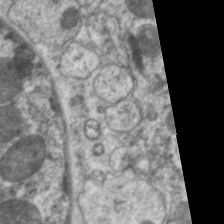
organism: C. elegans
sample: Pharynx